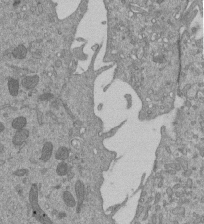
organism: Mouse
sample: ED-1 cell nuclei; centrioles